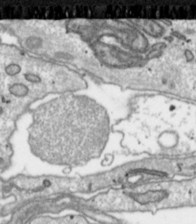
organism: Toxoplasma gondii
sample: Parasites in a vacuole inside a host cell